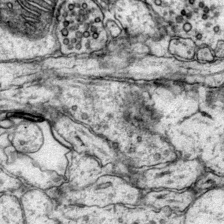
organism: Mouse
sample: Primary visual cortex